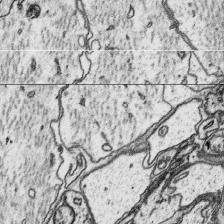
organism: Platynereis dumerilii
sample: Parapodia